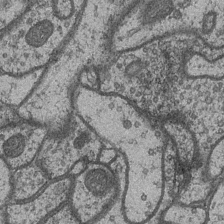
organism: Drosophila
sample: Optic medulla